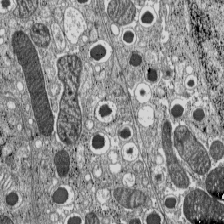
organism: C57BL Mouse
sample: Pancreatic islet